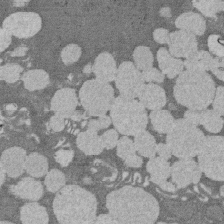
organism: Rat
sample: Salivary granule